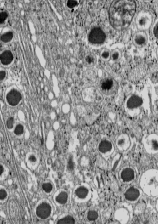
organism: C57BL Mouse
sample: Pancreatic islet